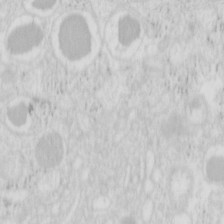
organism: Mouse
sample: Pancreas